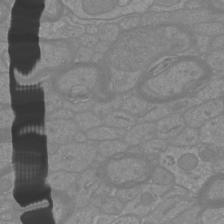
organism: Mouse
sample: Cortical neurons